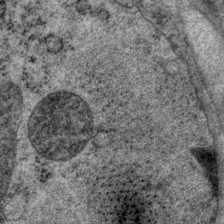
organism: P. pacificus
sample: Pharynx